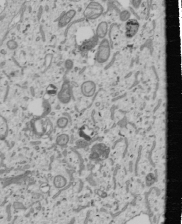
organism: Human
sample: Mitochondria in U2OS cells